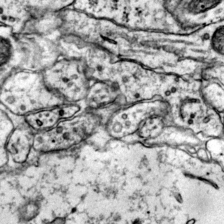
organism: Mouse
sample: Primary visual cortex